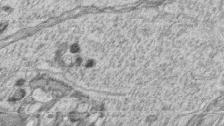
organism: Zebrafish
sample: synaptic ribbons in rod cells and cone cells